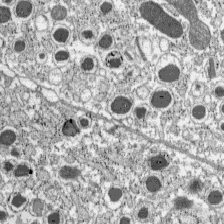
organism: C57BL Mouse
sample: Pancreatic islet